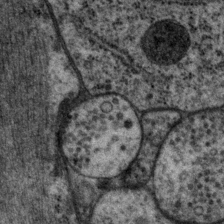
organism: P. pacificus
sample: Pharynx